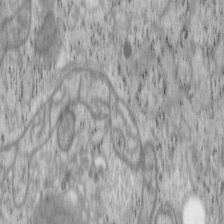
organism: Human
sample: HeLa cells